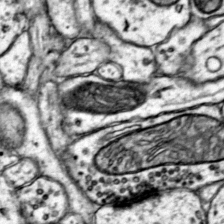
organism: Mouse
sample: Primary visual cortex